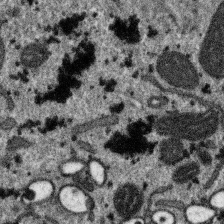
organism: Human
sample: Lung epithelial cells infected with SARS-CoV-2